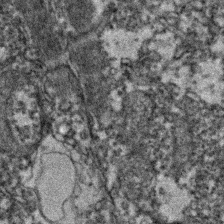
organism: Zebrafish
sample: Zebrafish embryo